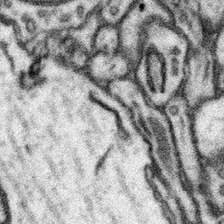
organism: Mouse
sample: Somatosensory cortex neuropil